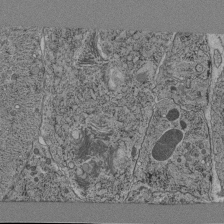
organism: C. elegans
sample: C. elegans pharynx